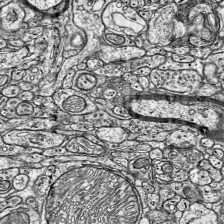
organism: Mouse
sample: Visual Cortex